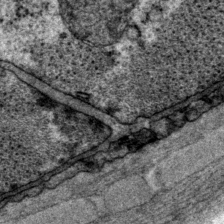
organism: P. pacificus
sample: Pharynx